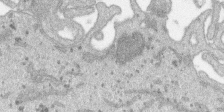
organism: Human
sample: Lung epithelial cells infected with SARS-CoV-2